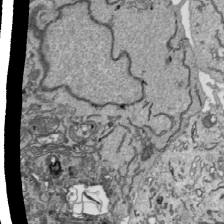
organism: Human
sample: Mitochondria in HCT116 cells